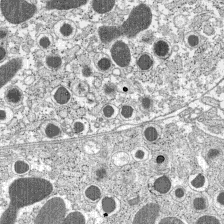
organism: C57BL Mouse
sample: Pancreatic islet